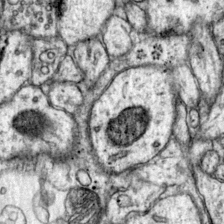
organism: Mouse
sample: Primary visual cortex